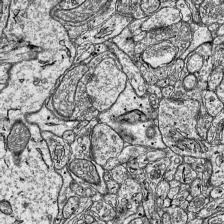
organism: Mouse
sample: Visual Cortex